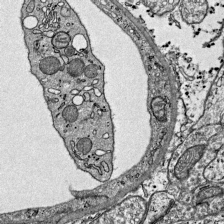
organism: Mouse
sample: Visual Cortex